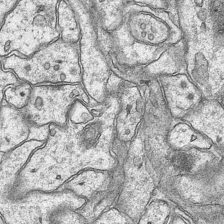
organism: Mouse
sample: CA1 Hippocampus